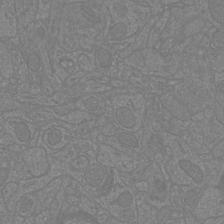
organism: Mouse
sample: Cortical neurons